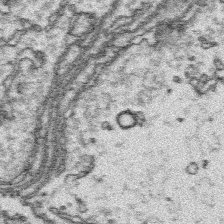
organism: Platynereis dumerilii